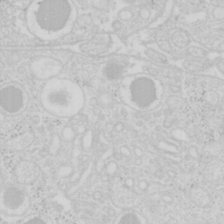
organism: Mouse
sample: Pancreas